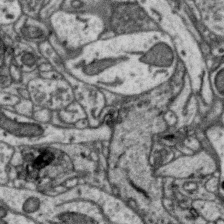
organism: Zebra finch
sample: Brain